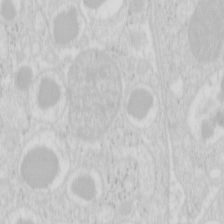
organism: Mouse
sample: Pancreas